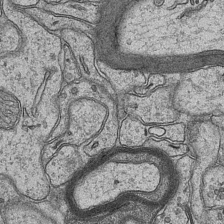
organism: Mouse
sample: CA1 Hippocampus